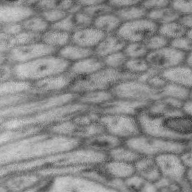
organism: Zebra finch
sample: Brain